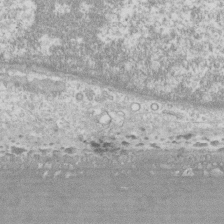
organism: Human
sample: CRL-1474